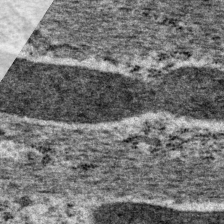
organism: P. pacificus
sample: Pharynx